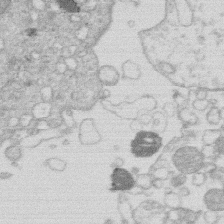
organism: Human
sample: Macrophage cells